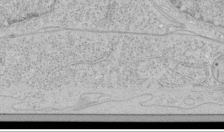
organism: Human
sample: Mitochondria in HCT116 cells